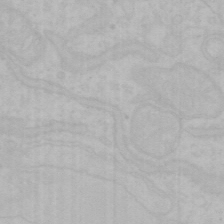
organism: Mouse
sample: Choroid plexus